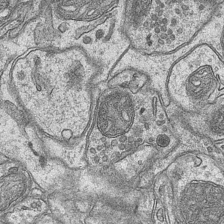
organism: Mouse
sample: CA1 Hippocampus